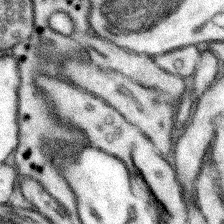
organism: Mouse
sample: Somatosensory cortex neuropil